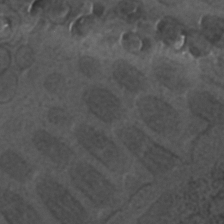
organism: C. elegans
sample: C. elegans embryo